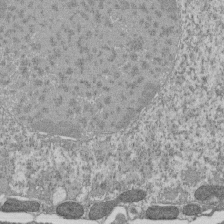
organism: Tetrahymena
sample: Cilia in tetrahymena